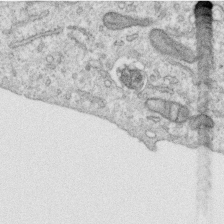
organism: Human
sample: Centriole in RPE cells